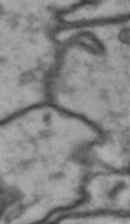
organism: Drosophila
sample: Brain